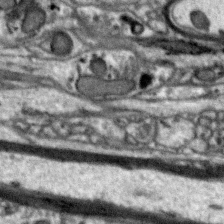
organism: Zebra finch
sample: Brain